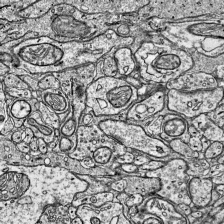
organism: Mouse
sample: Visual Cortex